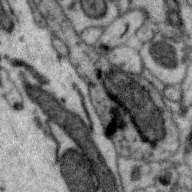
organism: Zebra finch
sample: Brain